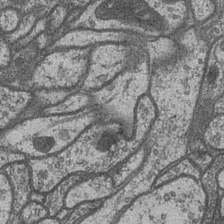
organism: Drosophila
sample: Optic medulla